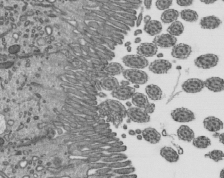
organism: Mouse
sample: Mouse epididymis efferent ductule cilia